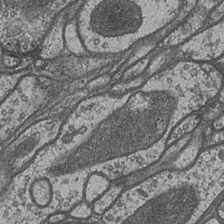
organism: Drosophila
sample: Optic medulla